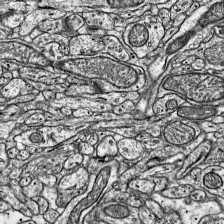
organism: Mouse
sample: Visual Cortex